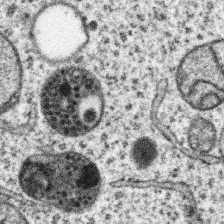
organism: Human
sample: HeLa cells